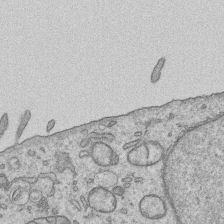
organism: Human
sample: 1205lu cells